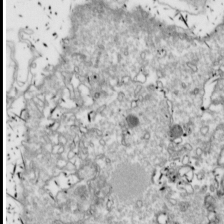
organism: Drosophila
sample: Cell division; meiosis; drosophila spermatocytes